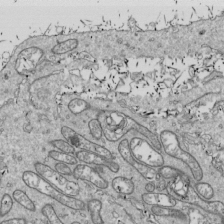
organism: Drosophila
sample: Cell division; meiosis; drosophila spermatocytes